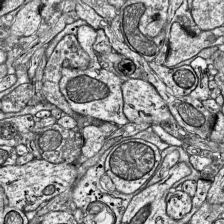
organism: Mouse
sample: Visual Cortex